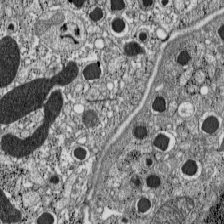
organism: C57BL Mouse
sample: Pancreatic islet